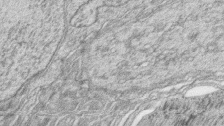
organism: Zebrafish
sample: synaptic ribbons in rod cells and cone cells